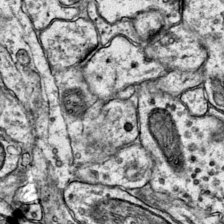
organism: Mouse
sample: Primary visual cortex